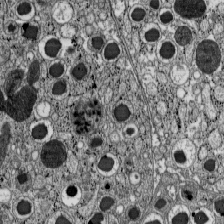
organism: C57BL Mouse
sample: Pancreatic islet